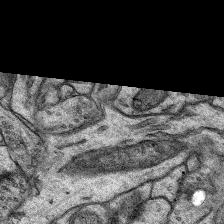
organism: Rat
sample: Hippocampus